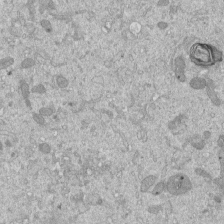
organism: Mouse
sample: ED-1 cell nuclei; centrioles